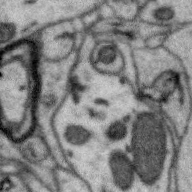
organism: Zebra finch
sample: Brain